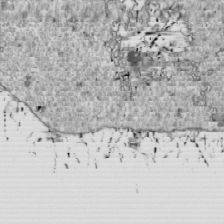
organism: Drosophila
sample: Cell division; meiosis; drosophila spermatocytes